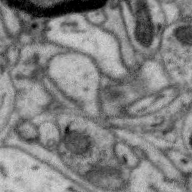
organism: Zebra finch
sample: Brain